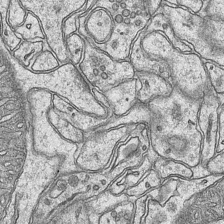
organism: Mouse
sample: CA1 Hippocampus